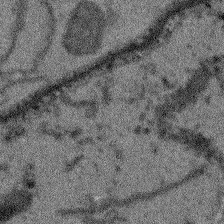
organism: Arabidopsis thaliana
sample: Root tip